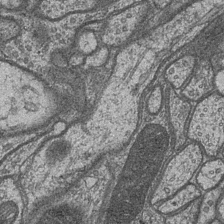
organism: Drosophila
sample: Optic medulla